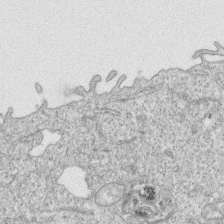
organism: Human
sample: HeLa cell HIV synapse